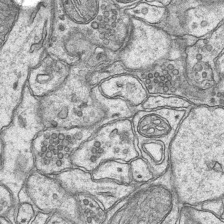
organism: Mouse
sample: CA1 Hippocampus